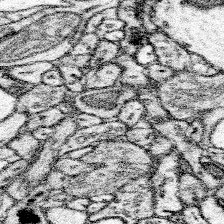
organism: Mouse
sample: Somatosensory cortex neuropil